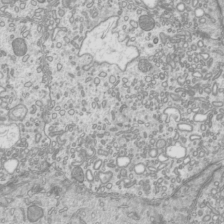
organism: Mouse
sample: Cilia; mouse epididymis